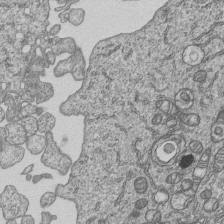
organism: Human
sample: MDA-MB-231 cells